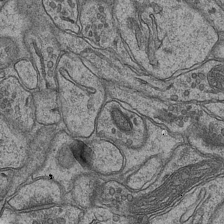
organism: Mouse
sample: CA1 Hippocampus